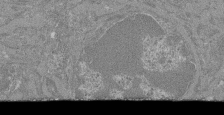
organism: Mouse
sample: Glomerulus